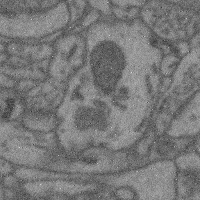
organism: Mouse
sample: Cerebral cortex